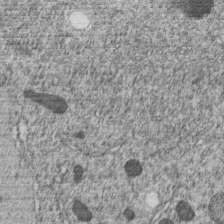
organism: C. elegans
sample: C. elegans embryo early stage